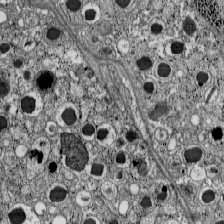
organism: C57BL Mouse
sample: Pancreatic islet